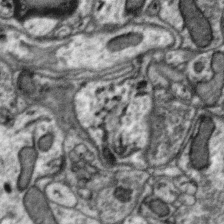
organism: Zebra finch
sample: Brain